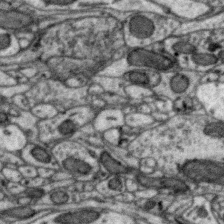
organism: Zebra finch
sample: Brain